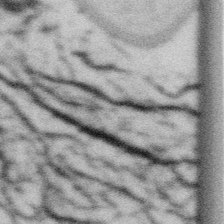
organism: Gemmata obscuriglobus